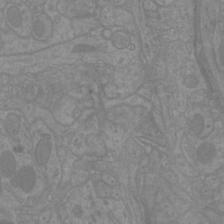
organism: Mouse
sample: Cortical neurons